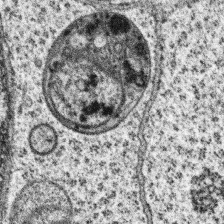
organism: Human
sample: HeLa cells